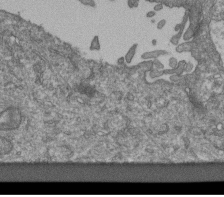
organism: Human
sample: Retinal organoid Rod and Cone cells